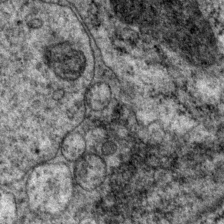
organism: P. pacificus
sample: Pharynx